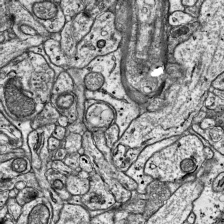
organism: Mouse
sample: Visual Cortex